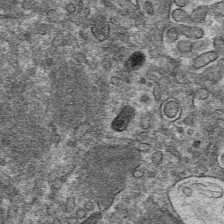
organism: Mouse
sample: Mouse hepatocytes